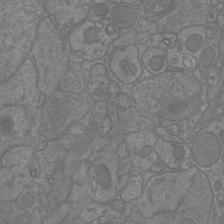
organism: Mouse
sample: Cortical neurons